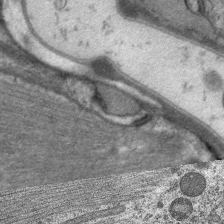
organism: C. elegans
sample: Pharynx